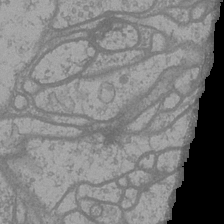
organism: Drosophila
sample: Optic medulla